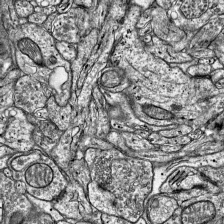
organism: Mouse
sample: Visual Cortex